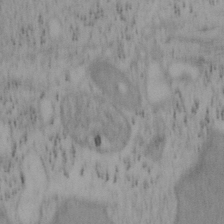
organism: Mouse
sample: OT-I killer T cells with ID8 ovarian cancer cells